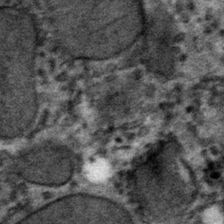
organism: Mouse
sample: Mouse hepatocytes